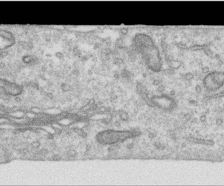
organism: Human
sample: Centriole in RPE cells